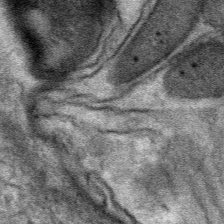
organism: Mouse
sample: Mouse Salivary gland